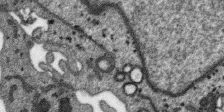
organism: Human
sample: Lung epithelial cells infected with SARS-CoV-2